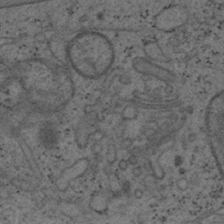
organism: Human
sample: HeLa cells